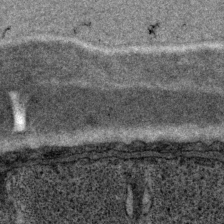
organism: P. pacificus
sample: Pharynx